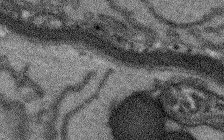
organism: Arabidopsis thaliana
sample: Root tip